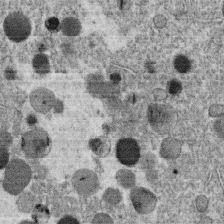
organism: C. elegans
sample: C. elegans oocyte; sperm cells